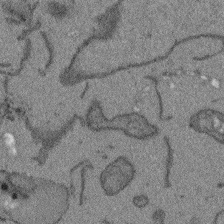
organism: Arabidopsis thaliana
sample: Root tip